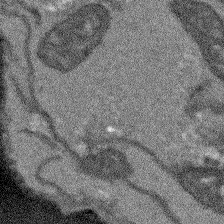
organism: Arabidopsis thaliana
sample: Root tip